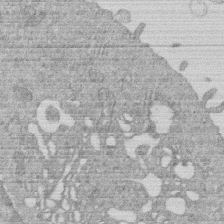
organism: Human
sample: Macrophage cells